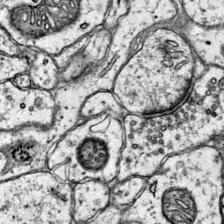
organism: Mouse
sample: Primary visual cortex